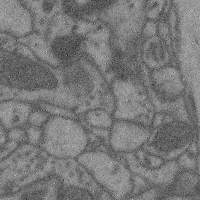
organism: Mouse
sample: Cerebral cortex